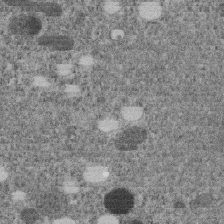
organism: C. elegans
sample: C. elegans embryo early stage